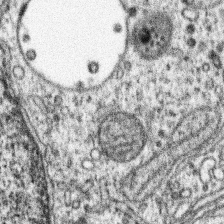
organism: Human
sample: HeLa cells